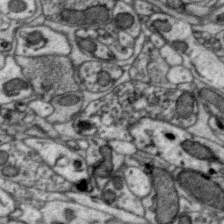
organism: Zebra finch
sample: Brain